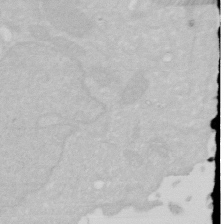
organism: Human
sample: HIV infected U937 cells